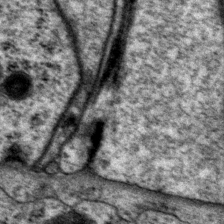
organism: P. pacificus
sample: Pharynx